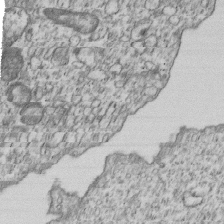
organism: Human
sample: MDA-MB-231 cells